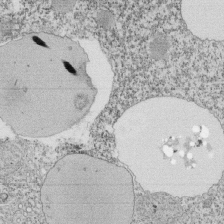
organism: Tetrahymena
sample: Cilia in tetrahymena